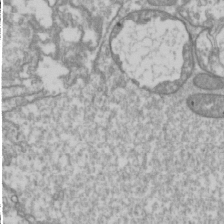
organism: Drosophila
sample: Cell division; meiosis; drosophila spermatocytes